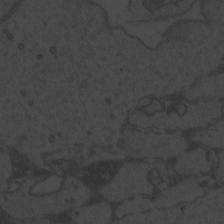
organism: Zebrafish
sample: Macrophage infected with Toxoplasma gondii